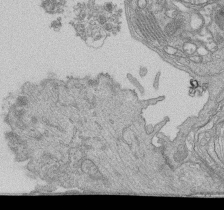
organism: Human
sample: Retinal organoid Rod and Cone cells